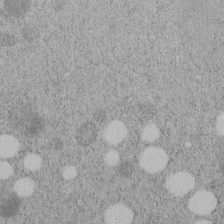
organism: C. elegans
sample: C. elegans embryo early stage